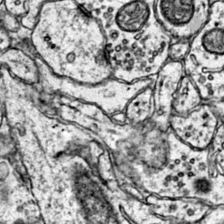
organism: Mouse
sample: Primary visual cortex